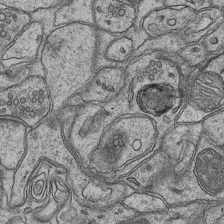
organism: Mouse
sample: CA1 Hippocampus